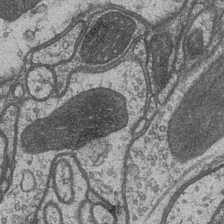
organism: Drosophila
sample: Optic medulla